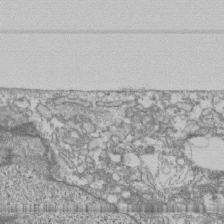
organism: Human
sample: Fibroblast cells